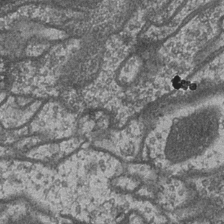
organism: Drosophila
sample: Optic medulla